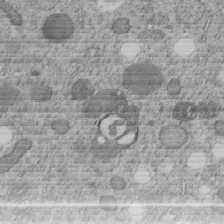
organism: C. elegans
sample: C. elegans embryo early stage